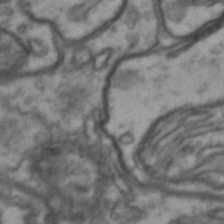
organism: Drosophila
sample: Brain